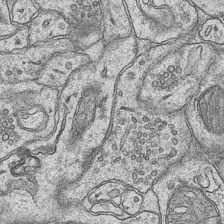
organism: Mouse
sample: CA1 Hippocampus